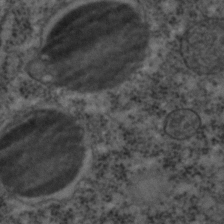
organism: C. elegans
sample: C. elegans embryo